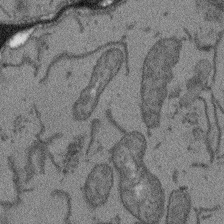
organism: Arabidopsis thaliana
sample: Root tip